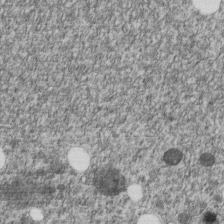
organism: C. elegans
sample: C. elegans embryo early stage